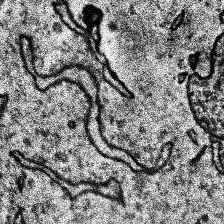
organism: Human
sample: Temporal Lobe